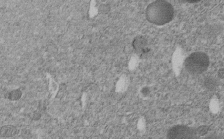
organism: C. elegans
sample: C. elegans embryo early stage